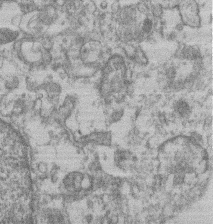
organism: Mouse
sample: T cell stromal cell synapse